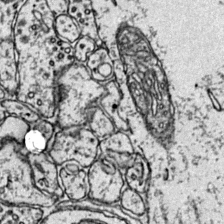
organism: Mouse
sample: Primary visual cortex